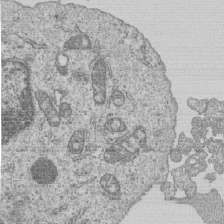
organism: Human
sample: MDA-MB-231 cells